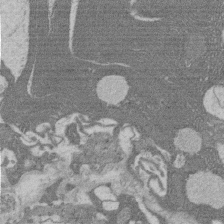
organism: Rat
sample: Salivary granule